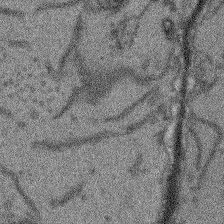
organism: Arabidopsis thaliana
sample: Root tip